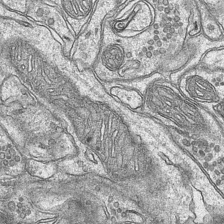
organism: Mouse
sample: CA1 Hippocampus